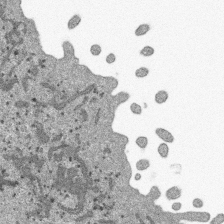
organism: Human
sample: Lung epithelial cells infected with SARS-CoV-2